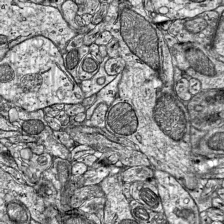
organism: Mouse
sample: Visual Cortex